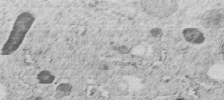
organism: C. elegans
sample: C. elegans embryo early stage